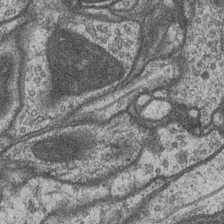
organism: Drosophila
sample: Optic medulla